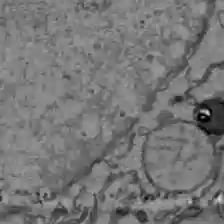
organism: C57BL Mouse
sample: Liver